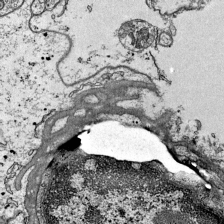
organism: Mouse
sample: Visual Cortex